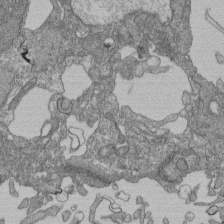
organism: Human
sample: Retinal organoid Rod and Cone cells